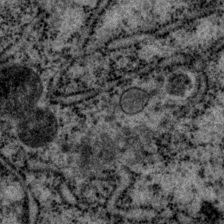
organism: P. pacificus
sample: Pharynx